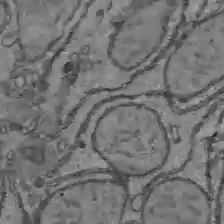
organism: C57BL Mouse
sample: Liver